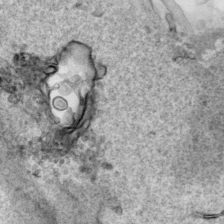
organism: Human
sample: Mitochondria in HCT116 cells